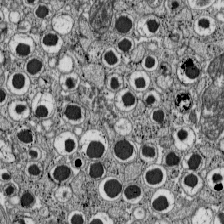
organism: C57BL Mouse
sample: Pancreatic islet